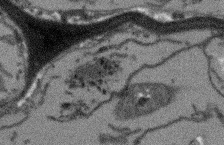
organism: Arabidopsis thaliana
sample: Root tip